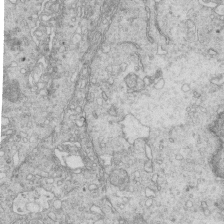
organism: Mouse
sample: Multiciliated cells